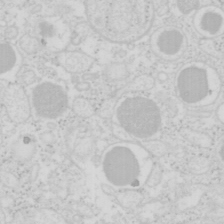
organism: Mouse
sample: Pancreas